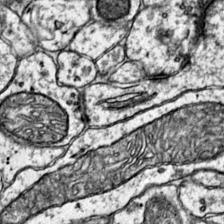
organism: Mouse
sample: Primary visual cortex